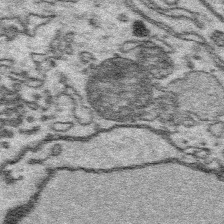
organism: Platynereis dumerilii